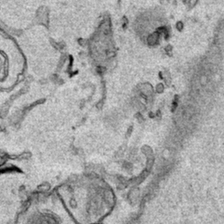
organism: Human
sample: Mitochondria in HCT116 cells